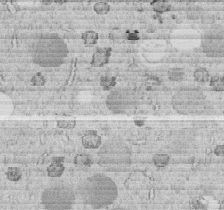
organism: C. elegans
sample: C. elegans embryo early stage